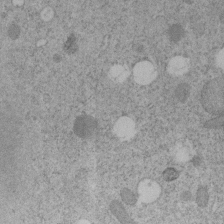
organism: C. elegans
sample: C. elegans embryo early stage